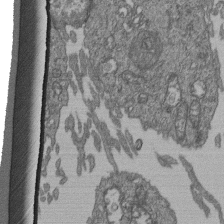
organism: Human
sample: Retinal organoid Rod and Cone cells